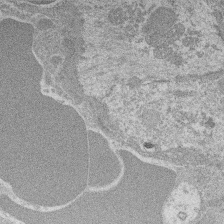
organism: Mouse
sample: Glomerulus